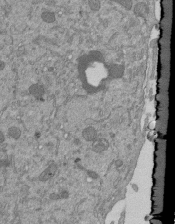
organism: Mouse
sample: ED-1 cell nuclei; centrioles